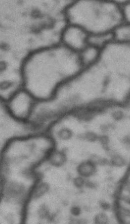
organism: Drosophila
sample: Brain